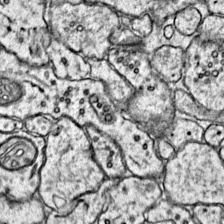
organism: Mouse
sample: Primary visual cortex